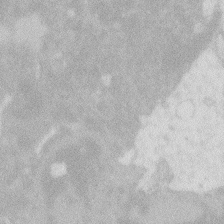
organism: Zebrafish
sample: Macrophage